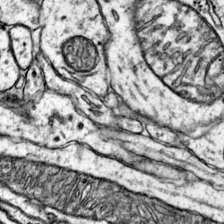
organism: Mouse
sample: Primary visual cortex